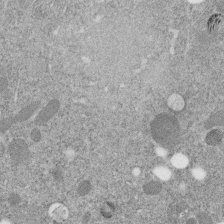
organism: C. elegans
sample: C. elegans embryo early stage